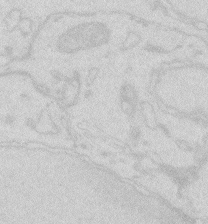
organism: Zebrafish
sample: Macrophage